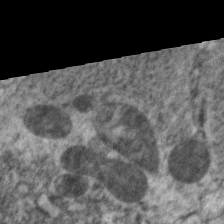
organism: C. elegans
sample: Pharynx